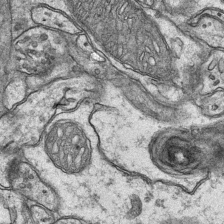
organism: Mouse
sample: CA1 Hippocampus